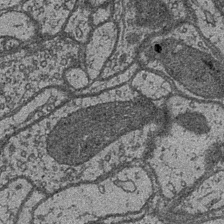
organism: Drosophila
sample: Optic medulla